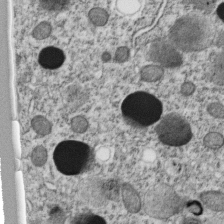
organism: C. elegans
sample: C. elegans embryo early stage